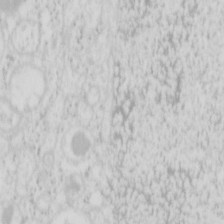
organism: Mouse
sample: Pancreas